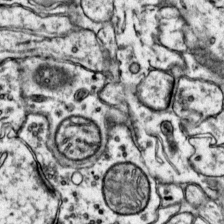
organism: Mouse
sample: Primary visual cortex